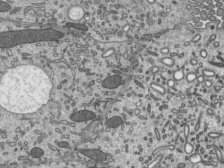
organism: Mouse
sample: Mouse epididymis efferent ductule cilia